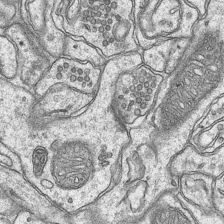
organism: Mouse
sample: CA1 Hippocampus